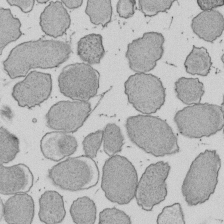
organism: E. coli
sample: Bacterial nucleoid